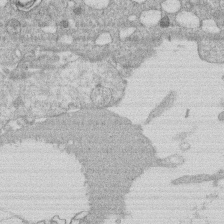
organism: Human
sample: Macrophage cells